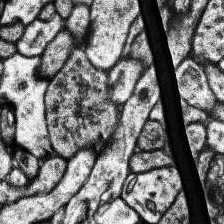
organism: Human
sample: Temporal Lobe